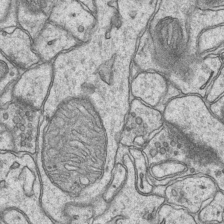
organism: Mouse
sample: CA1 Hippocampus